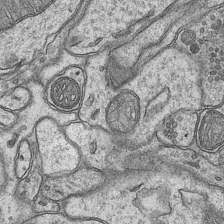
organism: Mouse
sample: CA1 Hippocampus